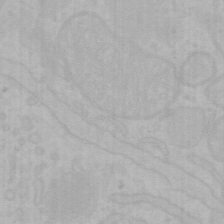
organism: Mouse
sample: Choroid plexus